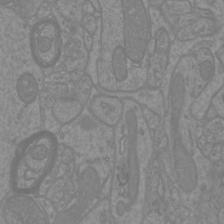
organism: Mouse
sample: Cortical neurons